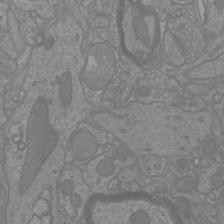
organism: Mouse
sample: Cortical neurons